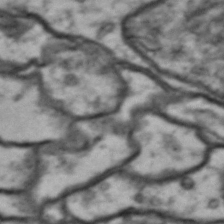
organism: Drosophila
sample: Brain